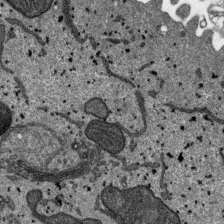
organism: Human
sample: Lung epithelial cells, uninfected (mock) control